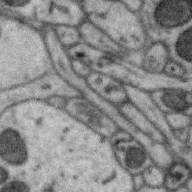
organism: Zebra finch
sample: Brain